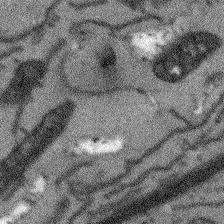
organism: Arabidopsis thaliana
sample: Root tip